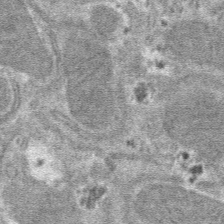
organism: Mouse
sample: Mouse hepatocytes